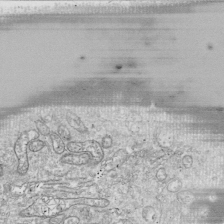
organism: Drosophila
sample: Cell division; meiosis; drosophila spermatocytes